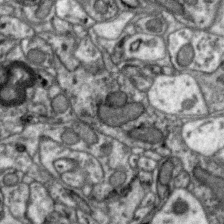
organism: Zebra finch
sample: Brain